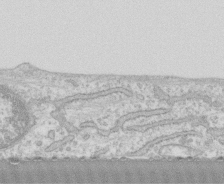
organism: Human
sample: CRL-1474